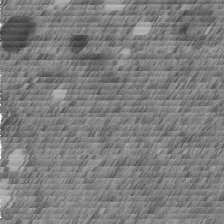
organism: C. elegans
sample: C. elegans embryo early stage